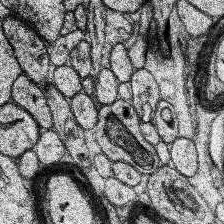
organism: Human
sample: Temporal Lobe